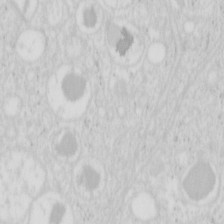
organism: Mouse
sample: Pancreas